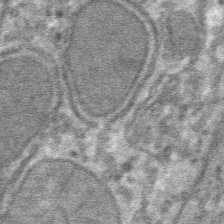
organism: Mouse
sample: Mouse hepatocytes